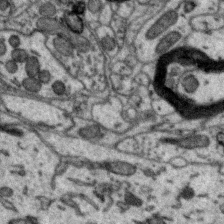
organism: Zebra finch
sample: Brain